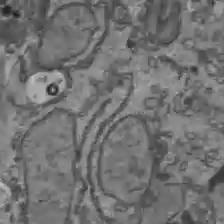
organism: C57BL Mouse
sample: Liver